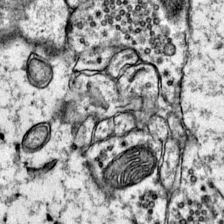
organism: Mouse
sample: Primary visual cortex